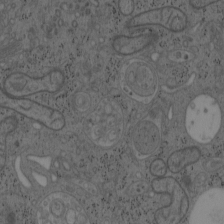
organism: Mouse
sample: OT-I killer T cells with ID8 ovarian cancer cells